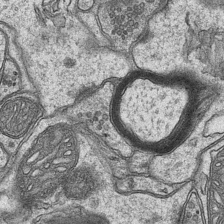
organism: Mouse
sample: CA1 Hippocampus